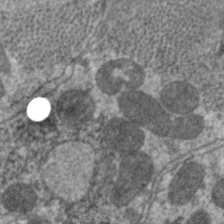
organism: C. elegans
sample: Pharynx